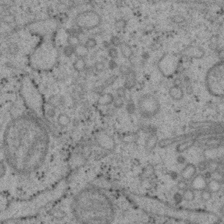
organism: Human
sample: HeLa cells